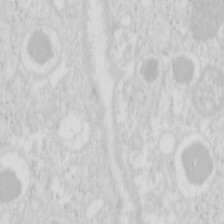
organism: Mouse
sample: Pancreas